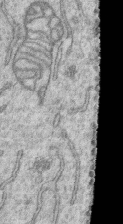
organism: Human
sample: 1205lu cells